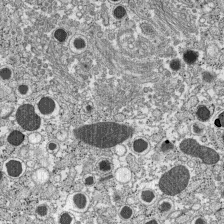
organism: C57BL Mouse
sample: Pancreatic islet